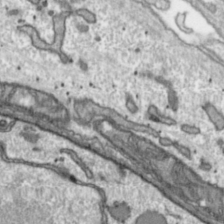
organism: Toxoplasma gondii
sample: Parasites in a vacuole inside a host cell